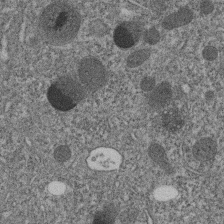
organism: C. elegans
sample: C. elegans embryo early stage